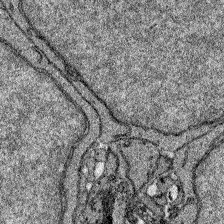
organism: Zebrafish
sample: Larval olfactory bulb